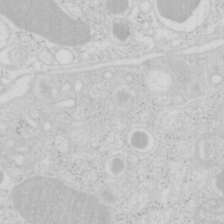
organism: Mouse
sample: Pancreas